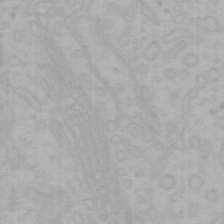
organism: Mouse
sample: Choroid plexus